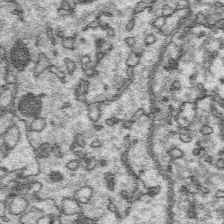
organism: Platynereis dumerilii